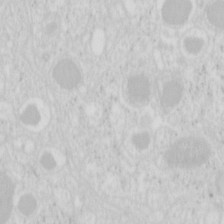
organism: Mouse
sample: Pancreas